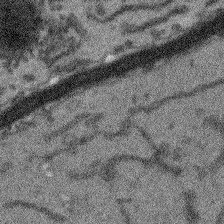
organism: Arabidopsis thaliana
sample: Root tip